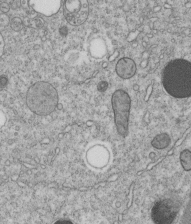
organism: C. elegans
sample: C. elegans embryo early stage